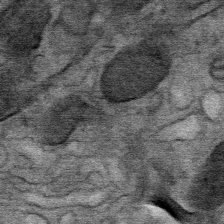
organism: Mouse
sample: Mouse Salivary gland